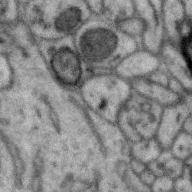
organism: Zebra finch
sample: Brain